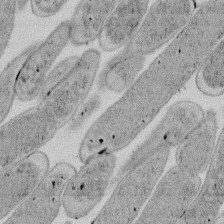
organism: E. coli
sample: Bacterial nucleoid